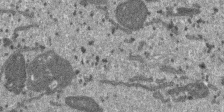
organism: Human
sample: Lung epithelial cells infected with SARS-CoV-2